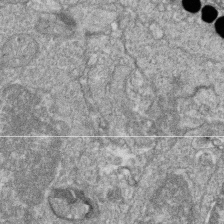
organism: Zebrafish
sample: Cilia; retinal pigment epithelium